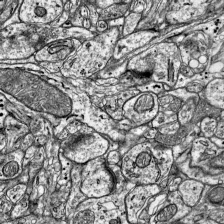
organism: Mouse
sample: Visual Cortex